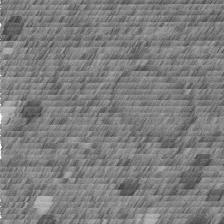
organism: C. elegans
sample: C. elegans embryo early stage